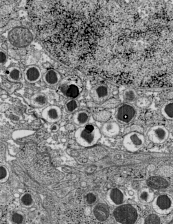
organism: C57BL Mouse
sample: Pancreatic islet